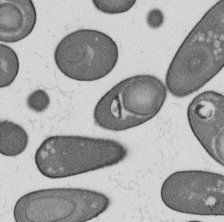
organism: B. subtilis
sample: Bacterial spore